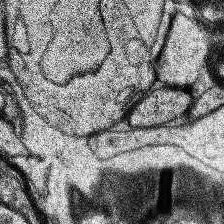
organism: Human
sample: Temporal Lobe